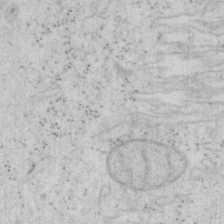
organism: Human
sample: HeLa cells